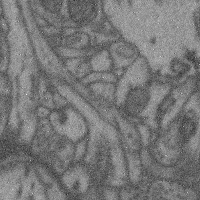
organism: Mouse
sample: Cerebral cortex